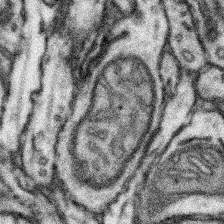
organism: Mouse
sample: Somatosensory cortex neuropil